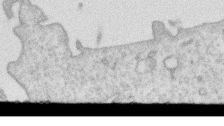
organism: Human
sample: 1205lu cells